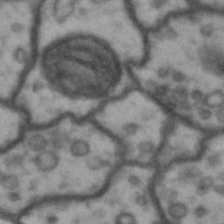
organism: Drosophila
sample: Brain